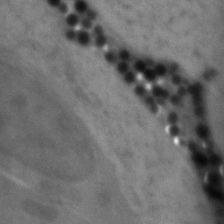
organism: Zebrafish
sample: Zebrafish embryo